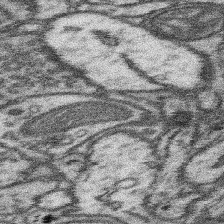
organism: Mouse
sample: Somatosensory cortex neuropil